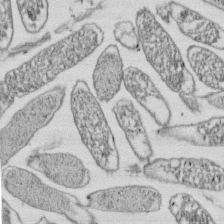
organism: E. coli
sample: Bacterial nucleoid